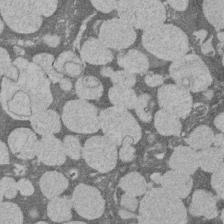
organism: Rat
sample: Salivary granule